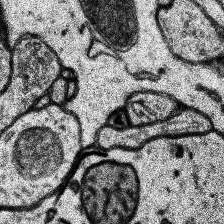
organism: Human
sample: Temporal Lobe